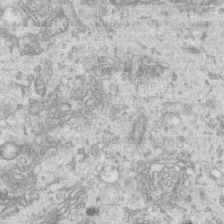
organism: Human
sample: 1205lu cells